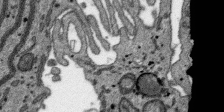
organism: Human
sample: Lung epithelial cells, uninfected (mock) control